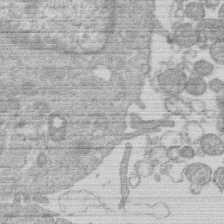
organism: Human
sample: Macrophage cells